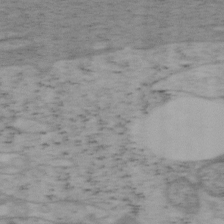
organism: Mouse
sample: OT-I killer T cells with ID8 ovarian cancer cells